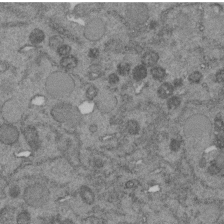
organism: C. elegans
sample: C. elegans embryo early stage